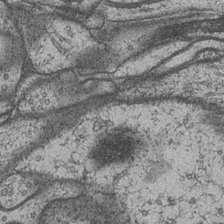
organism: Drosophila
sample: Optic medulla